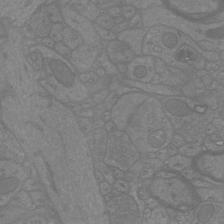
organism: Mouse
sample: Cortical neurons